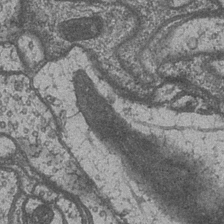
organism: Drosophila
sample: Optic medulla